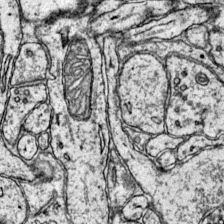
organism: Mouse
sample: Primary visual cortex